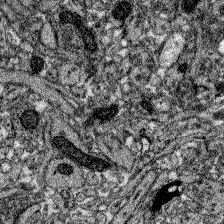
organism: Zebrafish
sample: Larval olfactory bulb